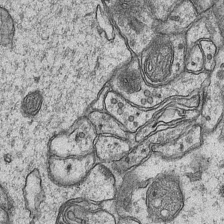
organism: Mouse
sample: CA1 Hippocampus